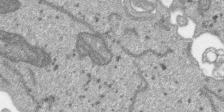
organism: Human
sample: Lung epithelial cells infected with SARS-CoV-2